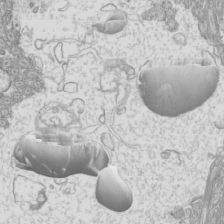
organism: Mouse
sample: Cilia; mouse epididymis